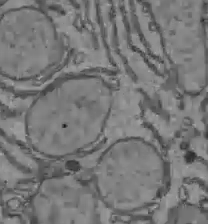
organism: C57BL Mouse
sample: Liver